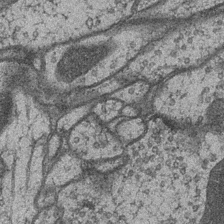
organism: Drosophila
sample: Optic medulla